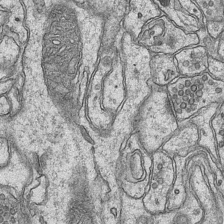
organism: Mouse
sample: CA1 Hippocampus